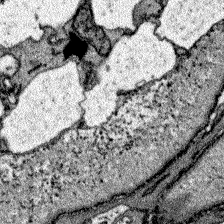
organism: Zebrafish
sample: Larval olfactory bulb